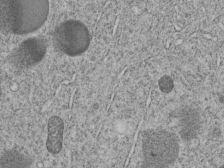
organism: C. elegans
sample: C. elegans embryo early stage